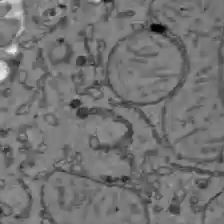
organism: C57BL Mouse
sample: Liver